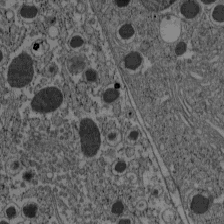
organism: C57BL Mouse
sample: Pancreatic islet